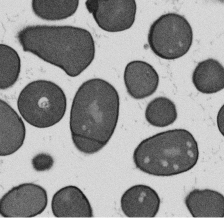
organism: B. subtilis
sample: Bacterial spore